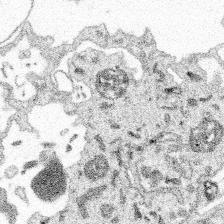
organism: Spongilla lacustris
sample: Multiple